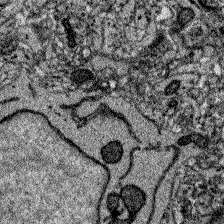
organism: Zebrafish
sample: Larval olfactory bulb